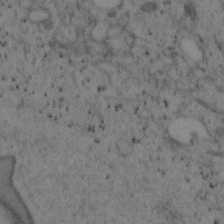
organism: Human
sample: HeLa cells